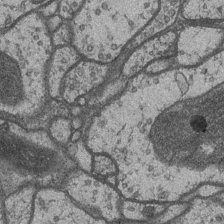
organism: Drosophila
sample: Optic medulla